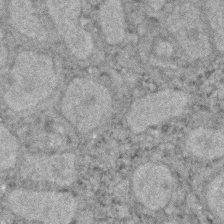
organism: Zebrafish